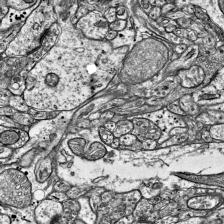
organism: Mouse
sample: Visual Cortex